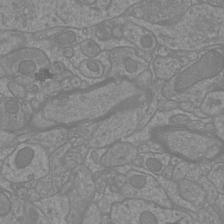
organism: Mouse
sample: Cortical neurons